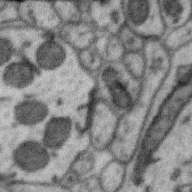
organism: Zebra finch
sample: Brain